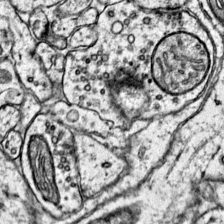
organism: Mouse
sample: Primary visual cortex